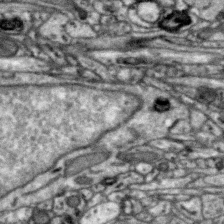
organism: Zebra finch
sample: Brain